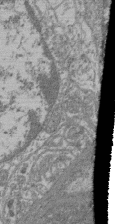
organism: Mouse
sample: Glomerulus